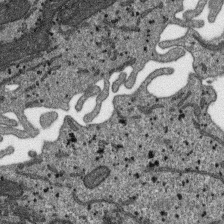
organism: Human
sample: Lung epithelial cells infected with SARS-CoV-2